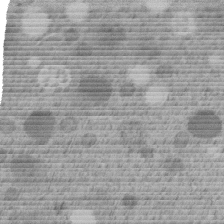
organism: C. elegans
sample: C. elegans embryo early stage